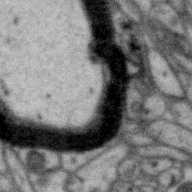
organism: Zebra finch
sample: Brain